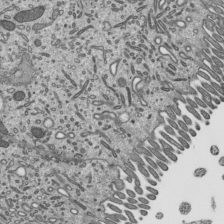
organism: Mouse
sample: Mouse epididymis efferent ductule cilia